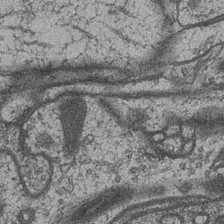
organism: Drosophila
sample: Optic medulla